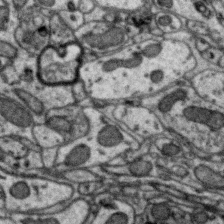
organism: Zebra finch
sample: Brain